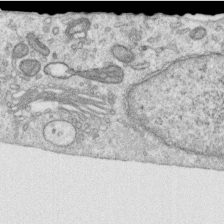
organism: Human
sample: Centriole in RPE cells